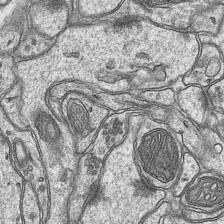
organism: Mouse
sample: CA1 Hippocampus